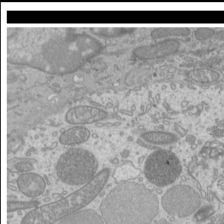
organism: Mouse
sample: Cilia; mouse epididymis